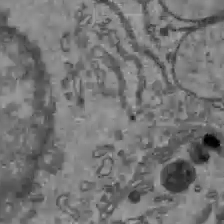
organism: C57BL Mouse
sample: Liver